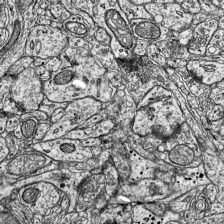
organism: Mouse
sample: Visual Cortex